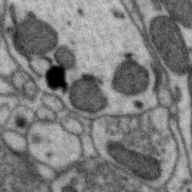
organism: Zebra finch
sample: Brain